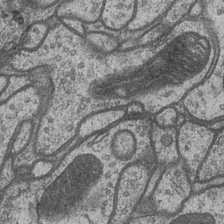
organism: Drosophila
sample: Optic medulla